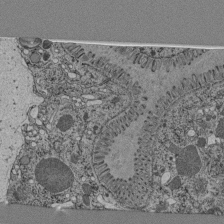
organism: C. elegans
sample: C. elegans pharynx